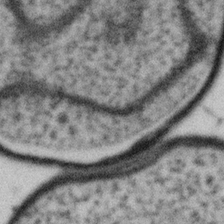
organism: Gemmata obscuriglobus